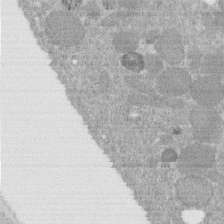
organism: C. elegans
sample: C. elegans embryo early stage